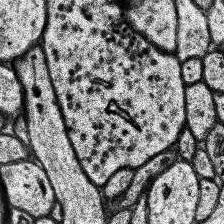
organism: Human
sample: Temporal Lobe